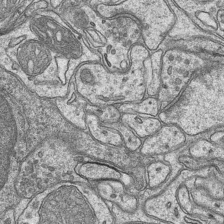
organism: Mouse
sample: CA1 Hippocampus